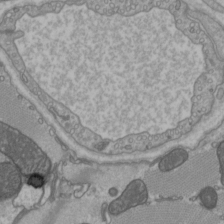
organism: C57BL Mouse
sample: Heart